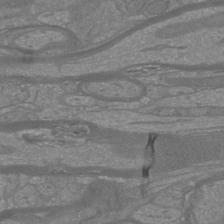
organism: Mouse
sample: Cortical neurons